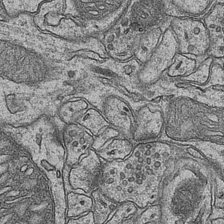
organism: Mouse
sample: CA1 Hippocampus